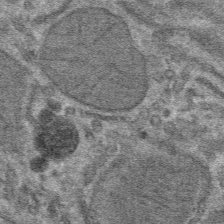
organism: Mouse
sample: Mouse hepatocytes